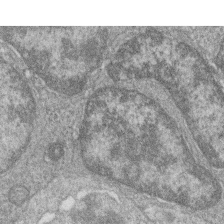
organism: Zebrafish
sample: Cilia; retinal pigment epithelium